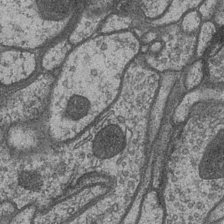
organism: Drosophila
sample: Optic medulla